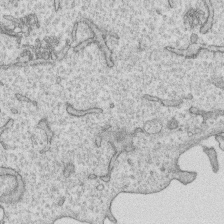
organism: Human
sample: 1205lu cells